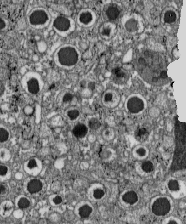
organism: C57BL Mouse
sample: Pancreatic islet